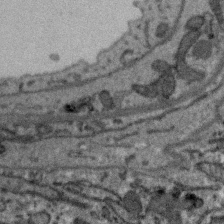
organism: Zebra finch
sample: Brain